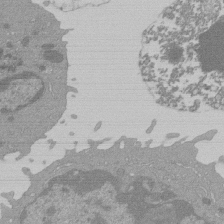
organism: Mouse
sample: Activated Pmel transgenic CD8+ T Cells